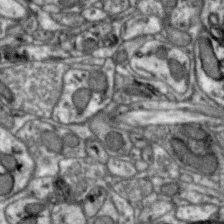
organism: Zebra finch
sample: Brain